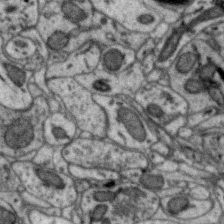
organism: Zebra finch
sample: Brain